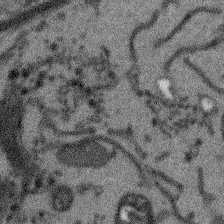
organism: Arabidopsis thaliana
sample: Root tip